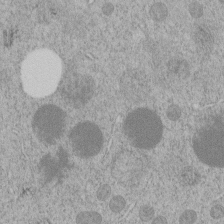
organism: C. elegans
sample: C. elegans embryo early stage